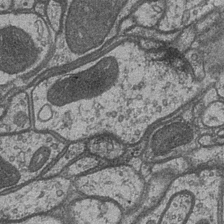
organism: Drosophila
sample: Optic medulla